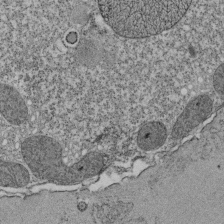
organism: Tetrahymena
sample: Cilia in tetrahymena